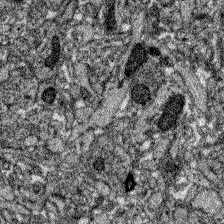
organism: Zebrafish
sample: Larval olfactory bulb